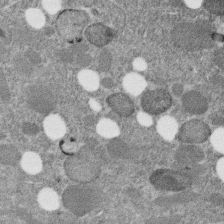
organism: C. elegans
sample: C. elegans embryo early stage